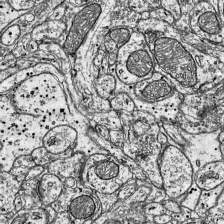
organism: Mouse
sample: Visual Cortex